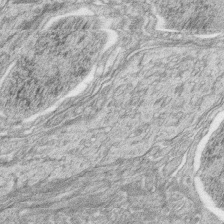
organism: Zebrafish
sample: synaptic ribbons in rod cells and cone cells